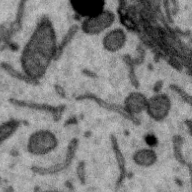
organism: Zebra finch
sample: Brain